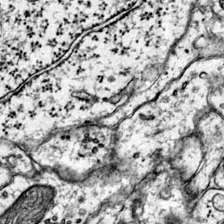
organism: Mouse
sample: Primary visual cortex